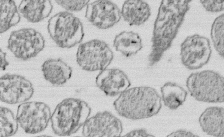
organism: E. coli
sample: Bacterial nucleoid